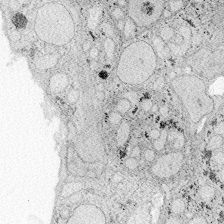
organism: Zebrafish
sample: Whole-Brain